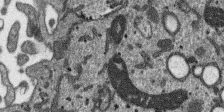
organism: Human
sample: Lung epithelial cells infected with SARS-CoV-2